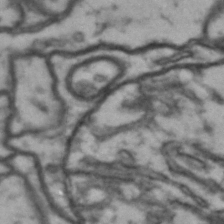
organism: Drosophila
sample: Brain